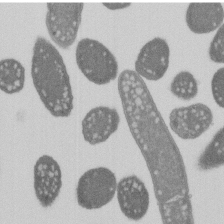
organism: E. coli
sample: Bacterial nucleoid